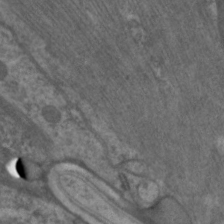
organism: C. elegans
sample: Pharynx